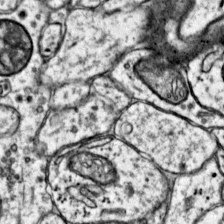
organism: Mouse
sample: Primary visual cortex